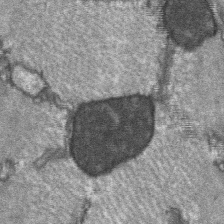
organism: C57BL Mouse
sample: Soleus